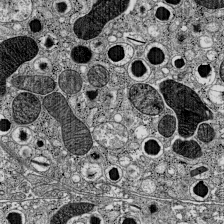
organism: C57BL Mouse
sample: Pancreatic islet